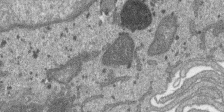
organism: Human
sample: Lung epithelial cells infected with SARS-CoV-2